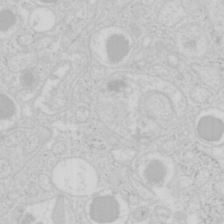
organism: Mouse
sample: Pancreas